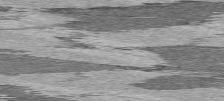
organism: C57BL Mouse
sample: Heart